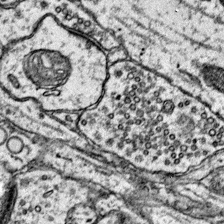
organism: Mouse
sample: Primary visual cortex